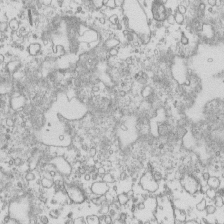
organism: Mouse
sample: Macrophages